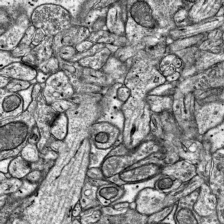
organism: Mouse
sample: Visual Cortex